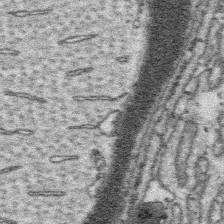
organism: Platynereis dumerilii